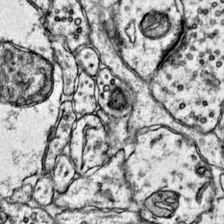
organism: Mouse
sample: Primary visual cortex